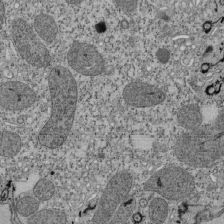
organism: Tetrahymena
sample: Cilia in tetrahymena